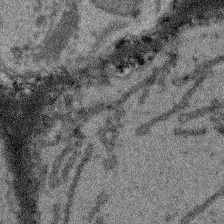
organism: Arabidopsis thaliana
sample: Root tip